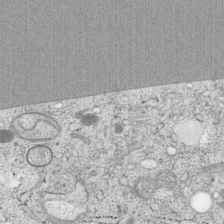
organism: African green monkey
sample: COS-7 cells